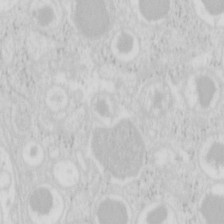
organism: Mouse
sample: Pancreas